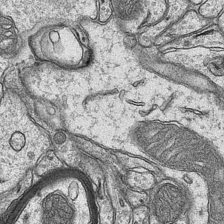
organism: Mouse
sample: CA1 Hippocampus